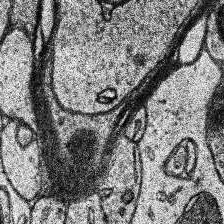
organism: Human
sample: Temporal Lobe